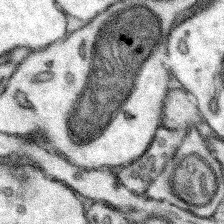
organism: Mouse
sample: Somatosensory cortex neuropil